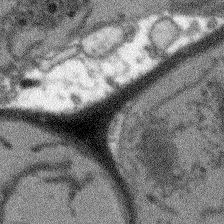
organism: Arabidopsis thaliana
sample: Root tip